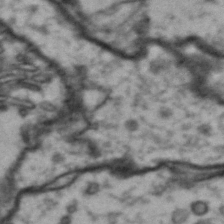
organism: Drosophila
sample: Brain